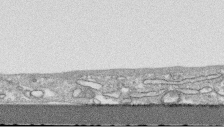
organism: Human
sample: CRL-1474